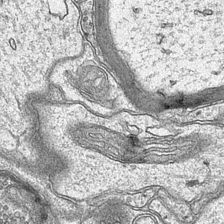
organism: Mouse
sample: CA1 Hippocampus